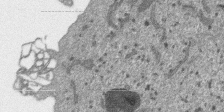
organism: Human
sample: Lung epithelial cells infected with SARS-CoV-2